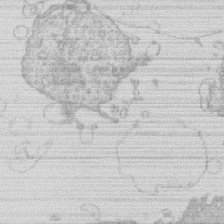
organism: Human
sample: Macrophage cells